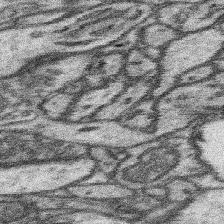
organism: Mouse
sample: Somatosensory cortex neuropil